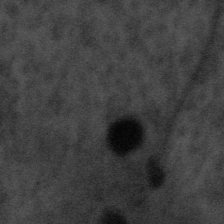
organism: Tuwongella immobilis